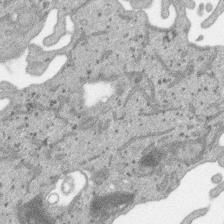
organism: Human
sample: Lung epithelial cells infected with SARS-CoV-2